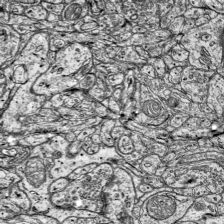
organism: Mouse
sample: Visual Cortex